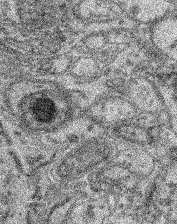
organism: Mouse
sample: Retina